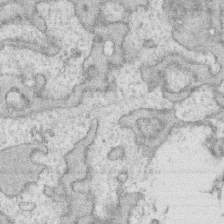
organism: Human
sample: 1205lu cells